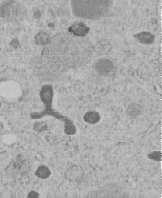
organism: C. elegans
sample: C. elegans embryo early stage